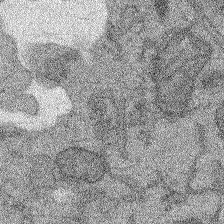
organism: Human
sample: HeLa cells